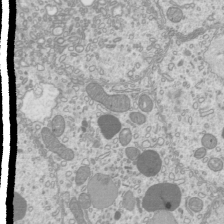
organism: Mouse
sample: Cilia; mouse epididymis